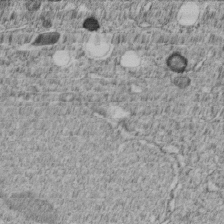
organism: C. elegans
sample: C. elegans embryo early stage